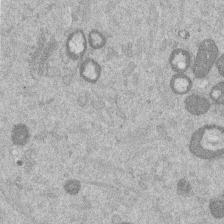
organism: Mouse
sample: Dividing mouse embryo 1 cell stage